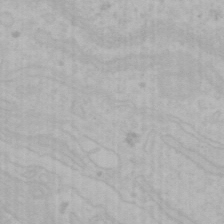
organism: Mouse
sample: Choroid plexus